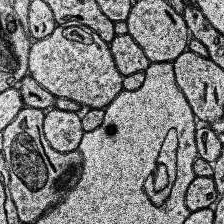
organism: Human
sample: Temporal Lobe